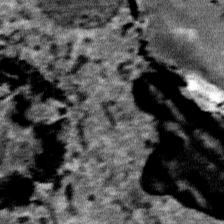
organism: Mouse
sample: Mouse Salivary gland